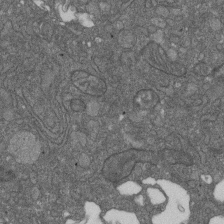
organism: Drosophila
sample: Nephrocyte